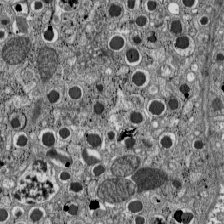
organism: C57BL Mouse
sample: Pancreatic islet